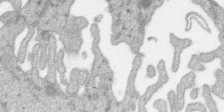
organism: Human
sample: Lung epithelial cells infected with SARS-CoV-2